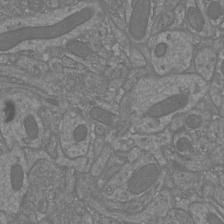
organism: Mouse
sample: Cortical neurons